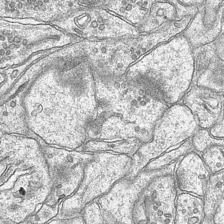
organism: Mouse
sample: CA1 Hippocampus